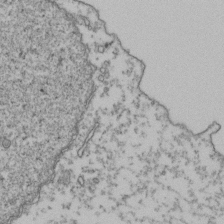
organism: Human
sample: Activated Jurkat CD4+ T cells